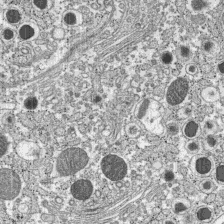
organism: C57BL Mouse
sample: Pancreatic islet